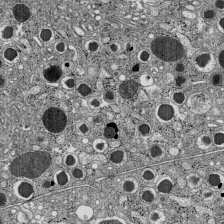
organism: C57BL Mouse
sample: Pancreatic islet